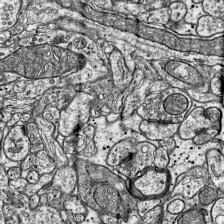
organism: Mouse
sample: Visual Cortex